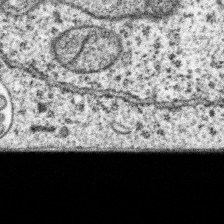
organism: Human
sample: HeLa cells